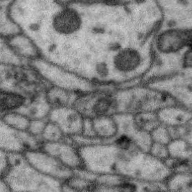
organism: Zebra finch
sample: Brain